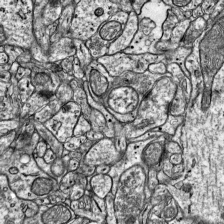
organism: Mouse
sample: Visual Cortex